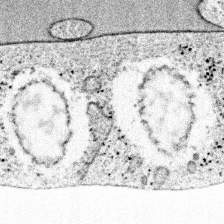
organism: Human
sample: HeLa cells